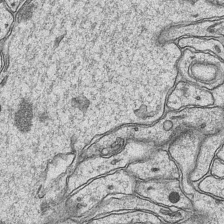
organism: Mouse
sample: CA1 Hippocampus